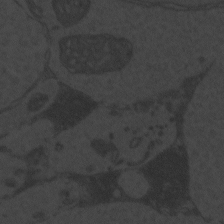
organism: Zebrafish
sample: Macrophage infected with Toxoplasma gondii